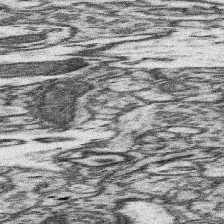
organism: Mouse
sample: Somatosensory cortex neuropil